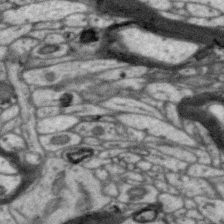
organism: Zebra finch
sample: Brain